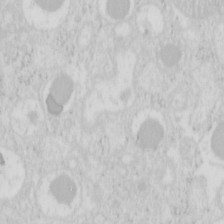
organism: Mouse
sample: Pancreas